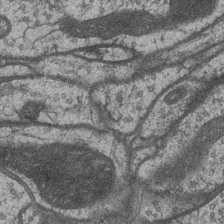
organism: Drosophila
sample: Optic medulla